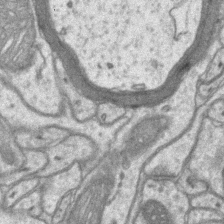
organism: Mouse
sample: CA1 Hippocampus